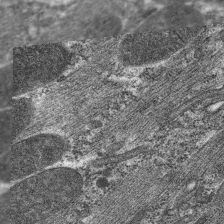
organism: C. elegans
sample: Pharynx